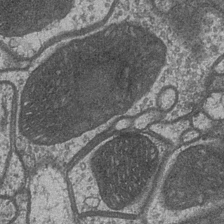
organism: Drosophila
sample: Optic medulla